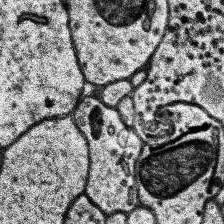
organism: Human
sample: Temporal Lobe